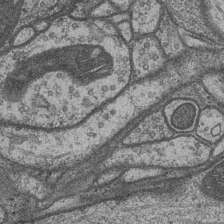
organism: Drosophila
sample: Optic medulla